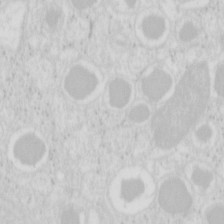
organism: Mouse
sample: Pancreas